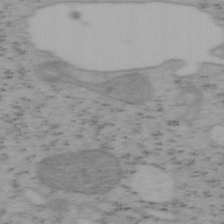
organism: Mouse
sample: OT-I killer T cells with ID8 ovarian cancer cells